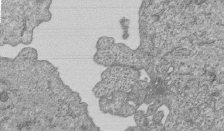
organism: Human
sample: MDA-MB-231 cells